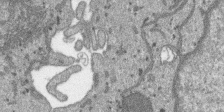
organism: Human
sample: Lung epithelial cells infected with SARS-CoV-2